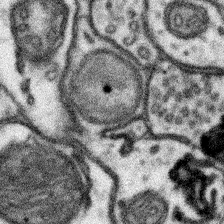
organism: Mouse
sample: Somatosensory cortex neuropil